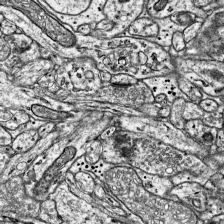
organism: Mouse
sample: Visual Cortex